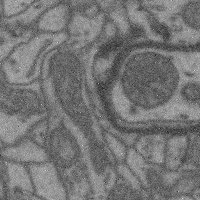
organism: Mouse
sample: Cerebral cortex